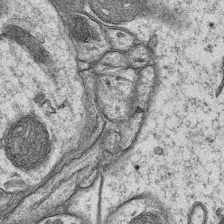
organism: Mouse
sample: CA1 Hippocampus